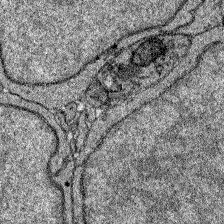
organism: Zebrafish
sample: Larval olfactory bulb